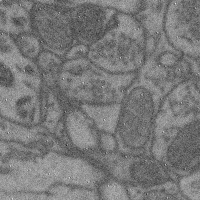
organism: Mouse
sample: Cerebral cortex